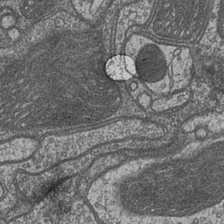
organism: Drosophila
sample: Optic medulla